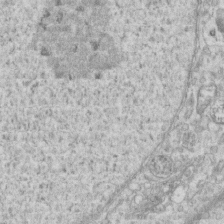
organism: Mouse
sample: Centriole in ependymal cells